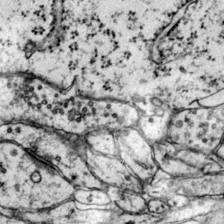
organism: Mouse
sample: Primary visual cortex